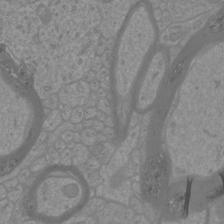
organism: Mouse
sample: Cortical neurons